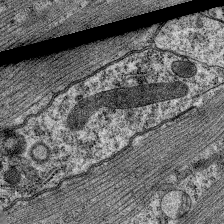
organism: C. elegans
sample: Pharynx